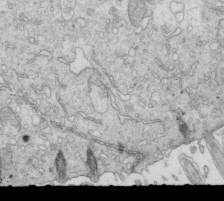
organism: Mouse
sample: Multiciliated cells